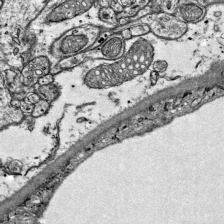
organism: Mouse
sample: Visual Cortex